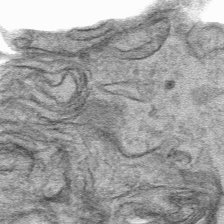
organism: Mouse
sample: Mouse hepatocytes